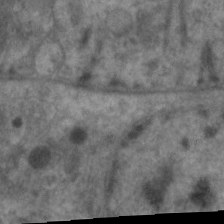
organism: C. elegans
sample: Pharynx